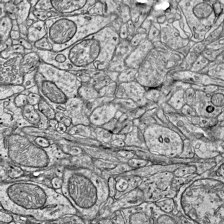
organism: Mouse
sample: Visual Cortex